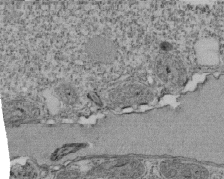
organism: Tetrahymena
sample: Cilia in tetrahymena